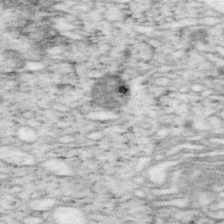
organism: Mouse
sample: OT-I killer T cells with ID8 ovarian cancer cells